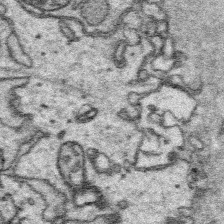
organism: Platynereis dumerilii